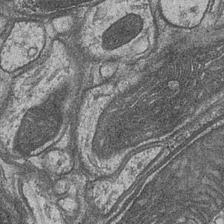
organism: Drosophila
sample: Optic medulla